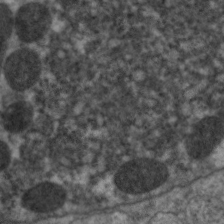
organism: C. elegans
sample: Pharynx